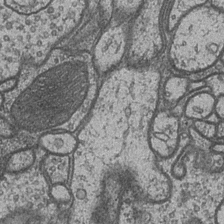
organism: Drosophila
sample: Optic medulla